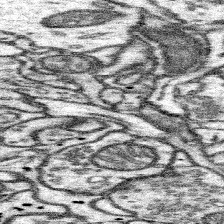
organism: Mouse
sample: Somatosensory cortex neuropil